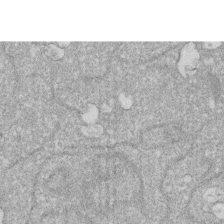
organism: Human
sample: HIV infected U937 cells